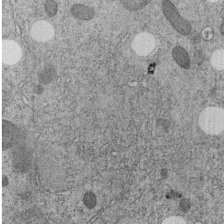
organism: C. elegans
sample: C. elegans embryo early stage